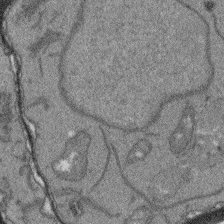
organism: Arabidopsis thaliana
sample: Root tip